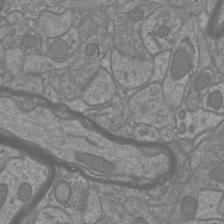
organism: Mouse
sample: Cortical neurons